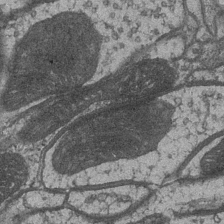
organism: Drosophila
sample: Optic medulla